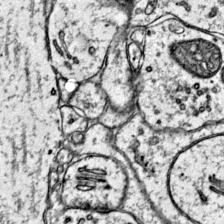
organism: Mouse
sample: Primary visual cortex